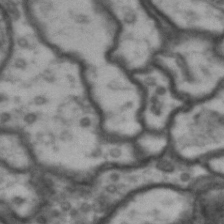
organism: Drosophila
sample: Brain